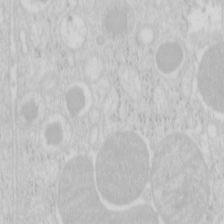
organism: Mouse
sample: Pancreas